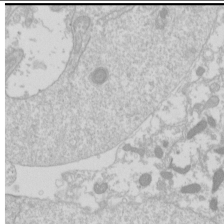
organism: Drosophila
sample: Cell division; meiosis; drosophila spermatocytes